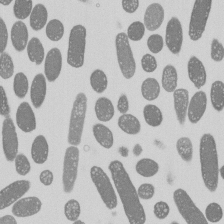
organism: E. coli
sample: Bacterial nucleoid